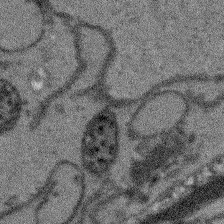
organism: Arabidopsis thaliana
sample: Root tip